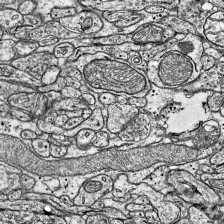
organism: Mouse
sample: Visual Cortex